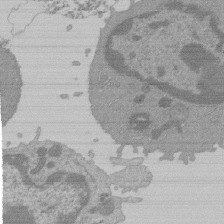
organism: Mouse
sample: Activated Pmel transgenic CD8+ T Cells